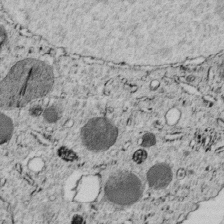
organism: C. elegans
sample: C. elegans embryo early stage